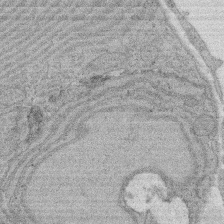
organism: Rat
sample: Salivary granule